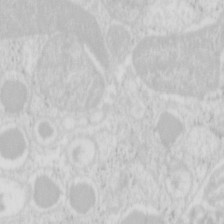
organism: Mouse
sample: Pancreas